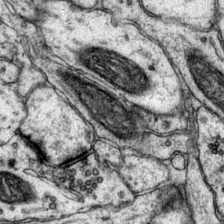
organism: Mouse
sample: Primary visual cortex